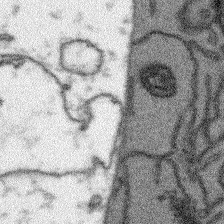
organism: Arabidopsis thaliana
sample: Root tip